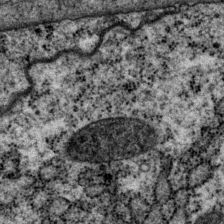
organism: P. pacificus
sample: Pharynx